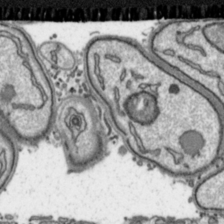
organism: Toxoplasma gondii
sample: Parasites in a vacuole inside a host cell